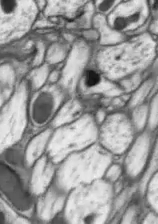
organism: Drosophila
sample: Optic lobe